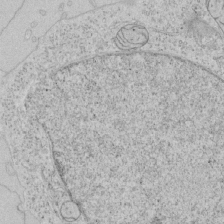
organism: Human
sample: Mitochondria in HCT116 cells